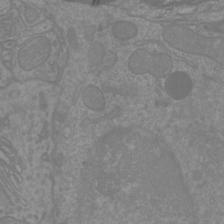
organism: Mouse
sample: Cortical neurons